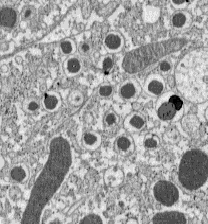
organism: C57BL Mouse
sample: Pancreatic islet